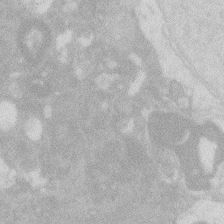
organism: Zebrafish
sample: Macrophage